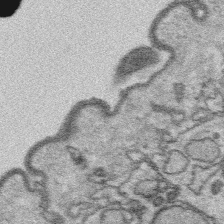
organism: Platynereis dumerilii